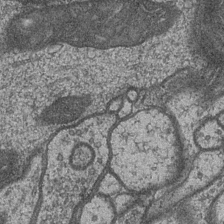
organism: Drosophila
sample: Optic medulla